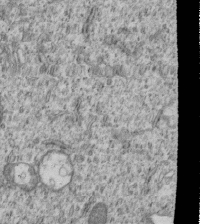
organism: Human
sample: MDA-MB-231 cells